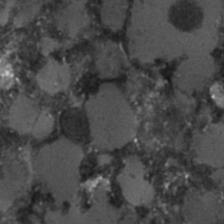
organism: C. elegans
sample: C. elegans embryo